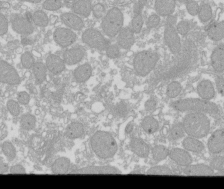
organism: Xenopus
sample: Cilia; centrioles in frog embryo cells